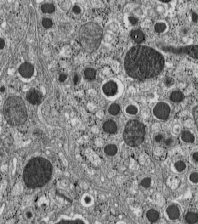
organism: C57BL Mouse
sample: Pancreatic islet